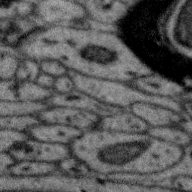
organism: Zebra finch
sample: Brain